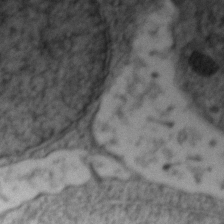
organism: Zebrafish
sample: Zebrafish embryo